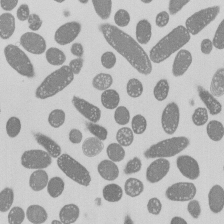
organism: E. coli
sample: Bacterial nucleoid